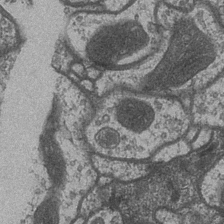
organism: Drosophila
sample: Optic medulla